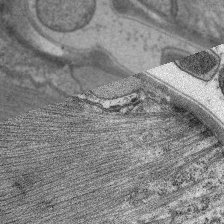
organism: C. elegans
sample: Pharynx